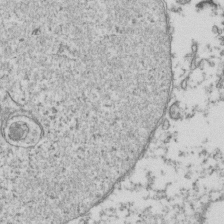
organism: Human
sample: Activated Jurkat CD4+ T cells